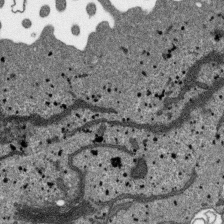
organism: Human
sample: Lung epithelial cells, uninfected (mock) control